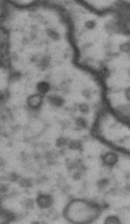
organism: Drosophila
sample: Brain